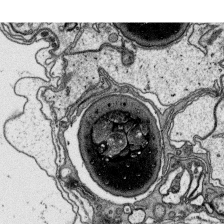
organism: Platynereis dumerilii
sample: Parapodia